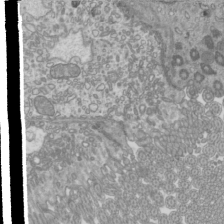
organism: Mouse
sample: Cilia; mouse epididymis